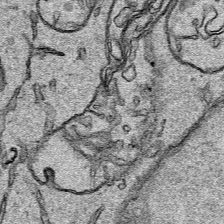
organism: Human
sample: Mitochondria in HCT116 cells